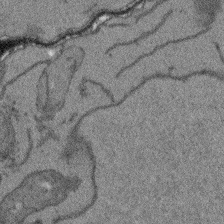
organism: Arabidopsis thaliana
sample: Root tip